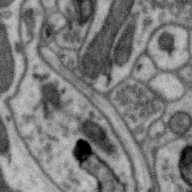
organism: Zebra finch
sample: Brain